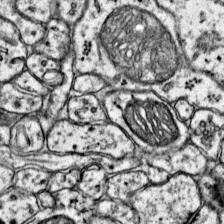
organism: Mouse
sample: Primary visual cortex